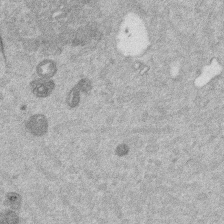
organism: Mouse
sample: Dividing mouse embryo 1 cell stage